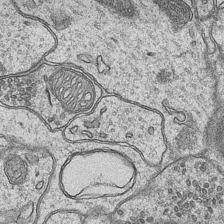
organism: Mouse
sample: CA1 Hippocampus